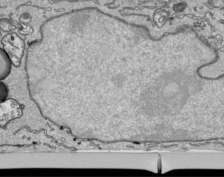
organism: Human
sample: Mitochondria in HCT116 cells